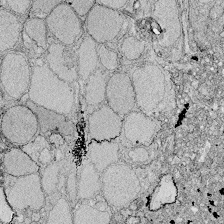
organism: Zebrafish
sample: Whole-Brain